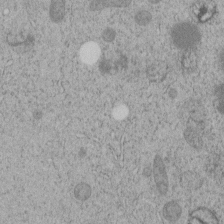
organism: C. elegans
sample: C. elegans embryo early stage